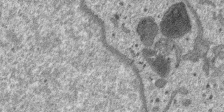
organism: Human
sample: Lung epithelial cells infected with SARS-CoV-2